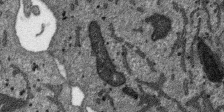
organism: Human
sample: Lung epithelial cells infected with SARS-CoV-2